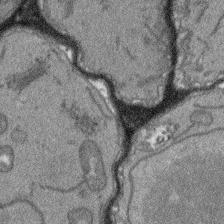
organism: Arabidopsis thaliana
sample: Root tip